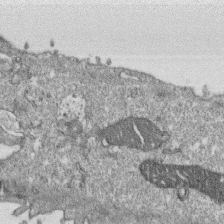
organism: African green monkey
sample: Vero E6 cells infected with SARS-CoV-2